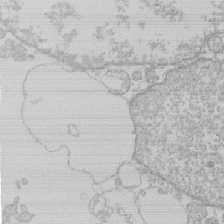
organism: Human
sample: Macrophage cells